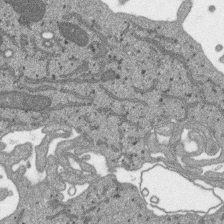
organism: Human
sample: Lung epithelial cells infected with SARS-CoV-2